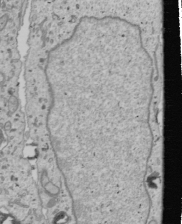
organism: Human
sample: Mitochondria in U2OS cells